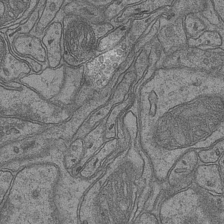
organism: Mouse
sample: CA1 Hippocampus